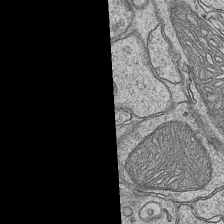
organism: Mouse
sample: CA1 Hippocampus